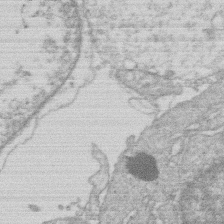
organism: Human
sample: Macrophage cells